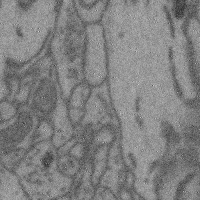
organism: Mouse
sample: Cerebral cortex